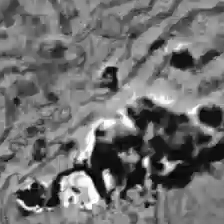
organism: C57BL Mouse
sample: Liver